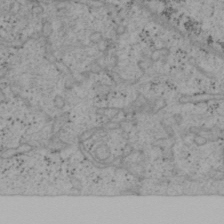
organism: Human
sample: HeLa cells